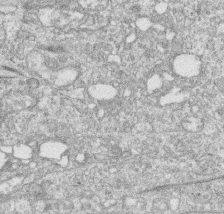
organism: Human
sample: HeLa cell HIV synapse